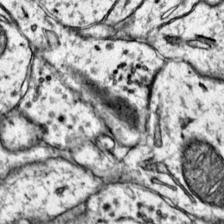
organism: Mouse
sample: Primary visual cortex